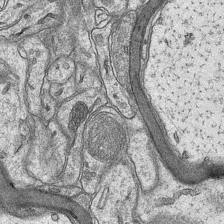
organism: Mouse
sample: CA1 Hippocampus